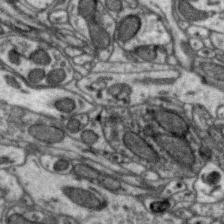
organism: Zebra finch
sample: Brain